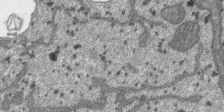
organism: Human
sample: Lung epithelial cells infected with SARS-CoV-2